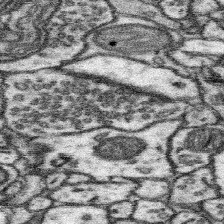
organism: Mouse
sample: Somatosensory cortex neuropil